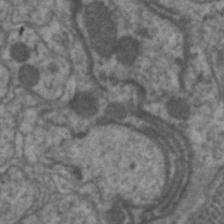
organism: C. elegans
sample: Pharynx